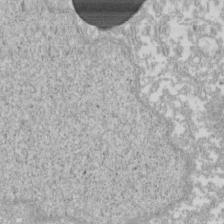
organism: Xenopus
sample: Cilia; centrioles in frog embryo cells